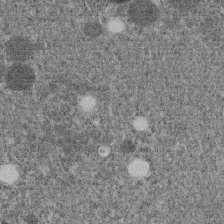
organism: C. elegans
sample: C. elegans embryo early stage